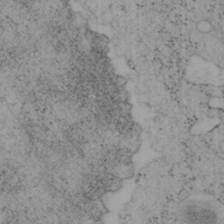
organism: Mouse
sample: OT-I killer T cells with ID8 ovarian cancer cells